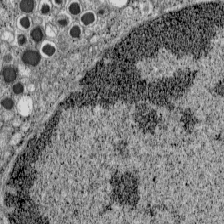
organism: C57BL Mouse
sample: Pancreatic islet